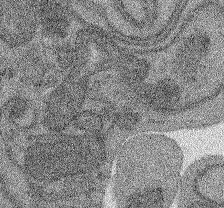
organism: Human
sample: HeLa cells